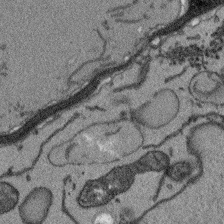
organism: Arabidopsis thaliana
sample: Root tip